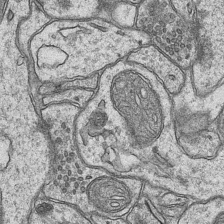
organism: Mouse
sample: CA1 Hippocampus